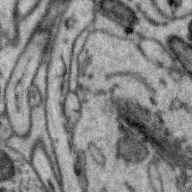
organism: Zebra finch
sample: Brain